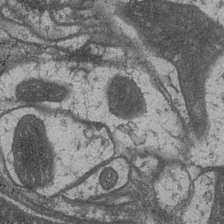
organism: Drosophila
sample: Optic medulla